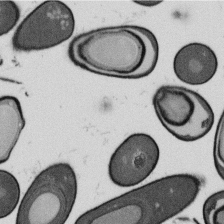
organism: B. subtilis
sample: Bacterial spore